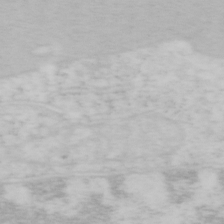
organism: Mouse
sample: OT-I killer T cells with ID8 ovarian cancer cells